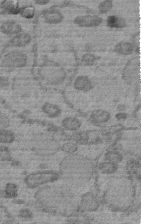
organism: C. elegans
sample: C. elegans embryo early stage